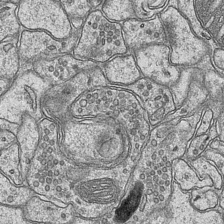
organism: Mouse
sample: CA1 Hippocampus